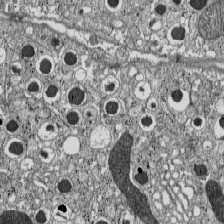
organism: C57BL Mouse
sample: Pancreatic islet